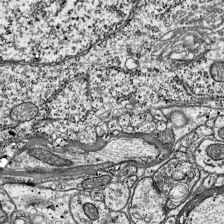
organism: Mouse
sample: Visual Cortex